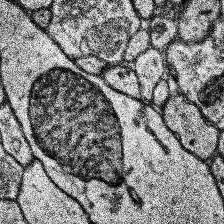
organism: Human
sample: Temporal Lobe